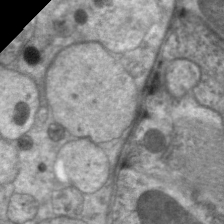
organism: C. elegans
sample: Pharynx